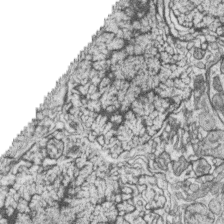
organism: Zebrafish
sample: synaptic ribbons in rod cells and cone cells